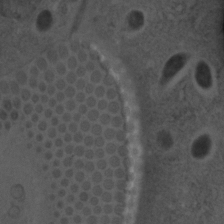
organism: C. elegans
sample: C. elegans embryo